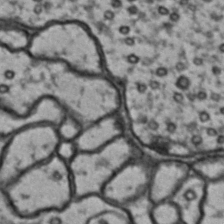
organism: Drosophila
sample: Brain